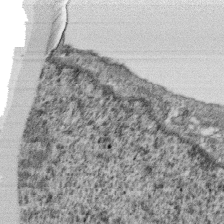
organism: African green monkey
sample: Vero E6 cells infected with SARS-CoV-2